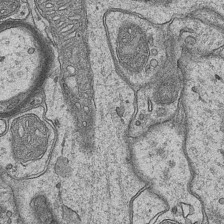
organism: Mouse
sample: CA1 Hippocampus